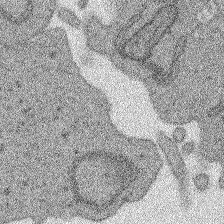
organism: Human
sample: HeLa cells